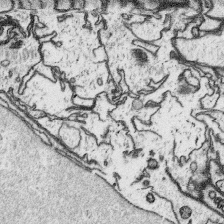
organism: Platynereis dumerilii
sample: Parapodia